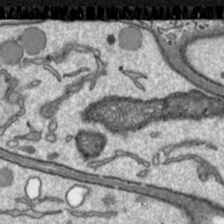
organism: Toxoplasma gondii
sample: Parasites in a vacuole inside a host cell